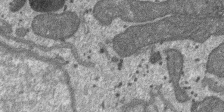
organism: Human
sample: Lung epithelial cells infected with SARS-CoV-2